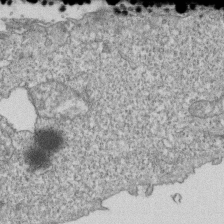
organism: Human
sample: HeLa cell HIV synapse